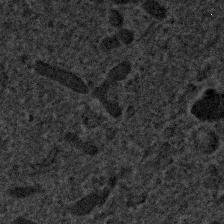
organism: Human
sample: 1205lu cells